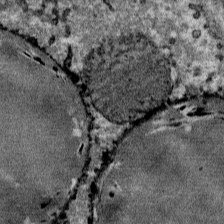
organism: Mouse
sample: Mouse Salivary gland